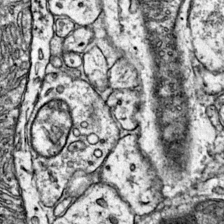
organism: Mouse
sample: Primary visual cortex